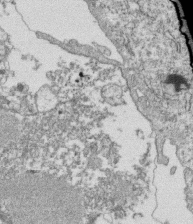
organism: Human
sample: HeLa cell HIV synapse